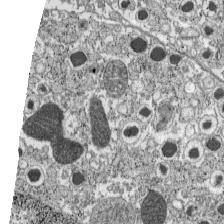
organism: C57BL Mouse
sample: Pancreatic islet